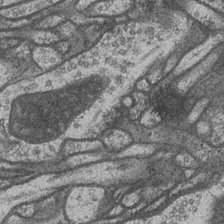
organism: Drosophila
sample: Optic medulla